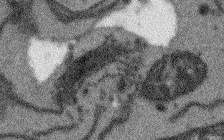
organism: Arabidopsis thaliana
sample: Root tip